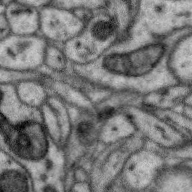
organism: Zebra finch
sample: Brain